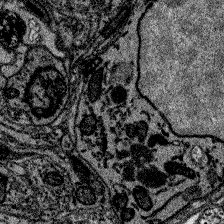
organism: Zebrafish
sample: Larval olfactory bulb